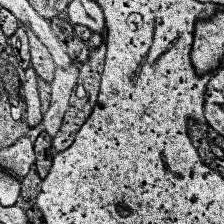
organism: Human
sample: Temporal Lobe